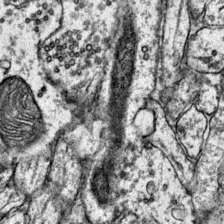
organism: Mouse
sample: Primary visual cortex